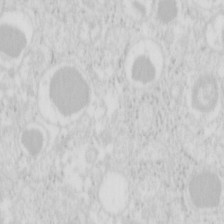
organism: Mouse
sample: Pancreas